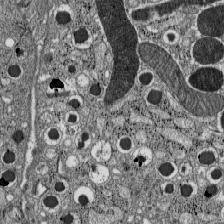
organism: C57BL Mouse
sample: Pancreatic islet